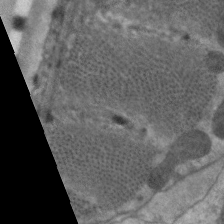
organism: C. elegans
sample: Pharynx